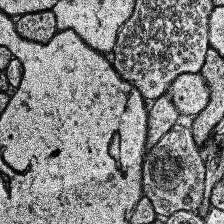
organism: Human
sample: Temporal Lobe